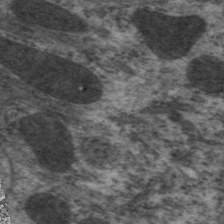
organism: C. elegans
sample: Pharynx